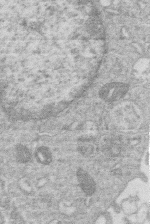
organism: Human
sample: Macrophage cells